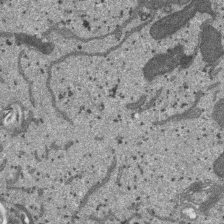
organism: Human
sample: Lung epithelial cells infected with SARS-CoV-2